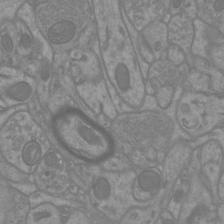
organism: Mouse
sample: Cortical neurons